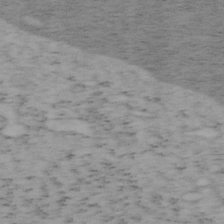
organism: Mouse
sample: OT-I killer T cells with ID8 ovarian cancer cells